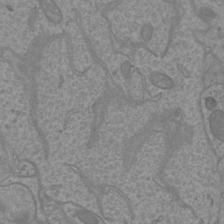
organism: Mouse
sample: Cortical neurons